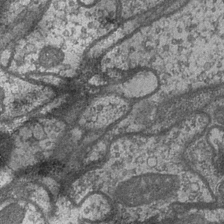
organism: Drosophila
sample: Optic medulla